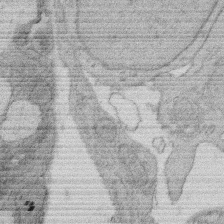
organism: Rat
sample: Salivary granule